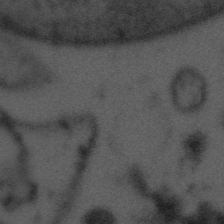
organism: Tuwongella immobilis